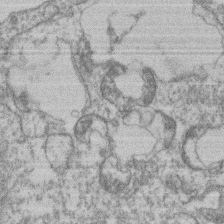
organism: Mouse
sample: T cell stromal cell synapse